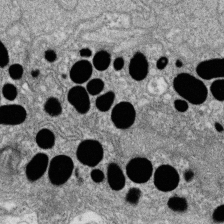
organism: Zebrafish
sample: Cilia; retinal pigment epithelium